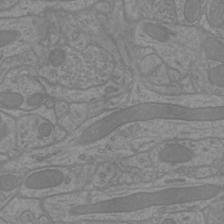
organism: Mouse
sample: Cortical neurons